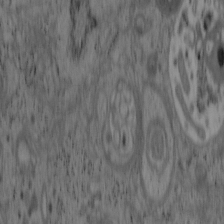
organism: Human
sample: HeLa cells